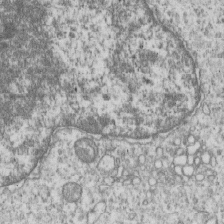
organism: Human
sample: MDA-MB-231 cells